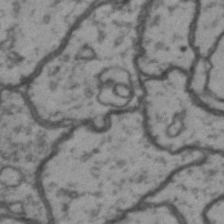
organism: Drosophila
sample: Brain